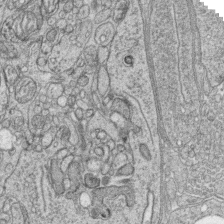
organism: Zebrafish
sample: synaptic ribbons in rod cells and cone cells